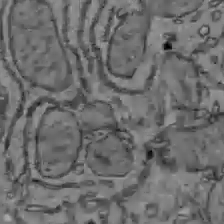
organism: C57BL Mouse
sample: Liver